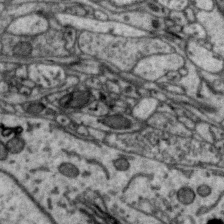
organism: Zebra finch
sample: Brain